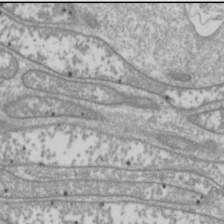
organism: Drosophila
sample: Cell division; meiosis; drosophila spermatocytes